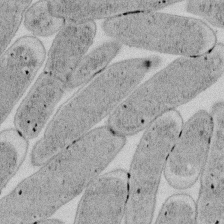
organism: E. coli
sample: Bacterial nucleoid